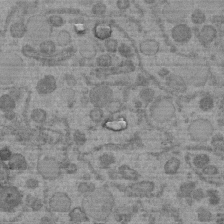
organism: C. elegans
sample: C. elegans embryo early stage